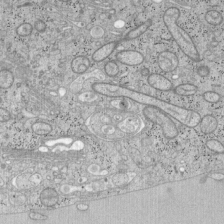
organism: Mouse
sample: OT-I killer T cells with ID8 ovarian cancer cells